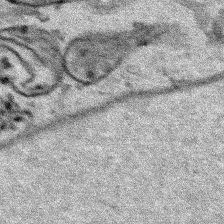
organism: Human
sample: Mitochondria in HCT116 cells